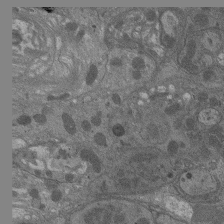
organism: Drosophila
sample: Antenna